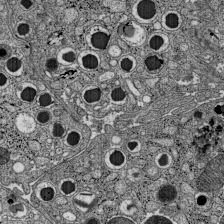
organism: C57BL Mouse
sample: Pancreatic islet